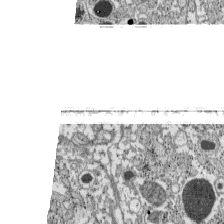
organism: C57BL Mouse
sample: Pancreatic islet